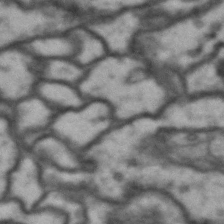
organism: Drosophila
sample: Brain